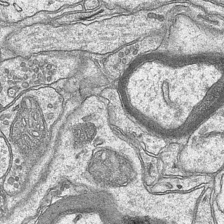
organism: Mouse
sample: CA1 Hippocampus